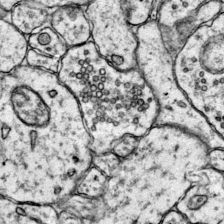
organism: Mouse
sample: Primary visual cortex